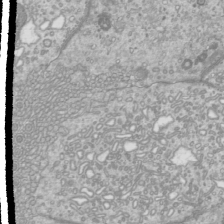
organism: Mouse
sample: Cilia; mouse epididymis